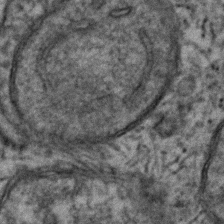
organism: Human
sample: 1205lu cells